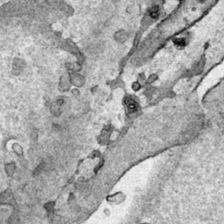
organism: Human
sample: Mitochondria in HCT116 cells